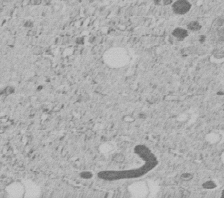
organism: C. elegans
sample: C. elegans embryo early stage